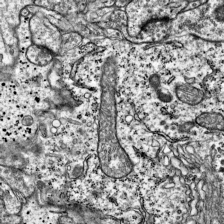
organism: Mouse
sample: Visual Cortex